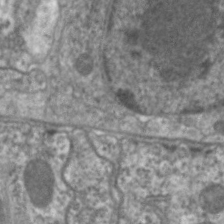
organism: C. elegans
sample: Pharynx